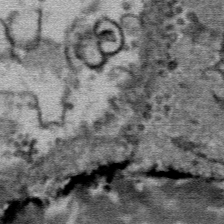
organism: Mouse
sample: Mouse Salivary gland